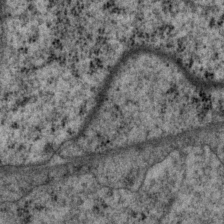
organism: P. pacificus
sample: Pharynx